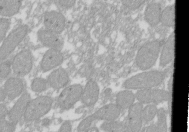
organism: Xenopus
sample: Cilia; centrioles in frog embryo cells